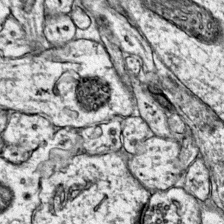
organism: Mouse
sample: Primary visual cortex